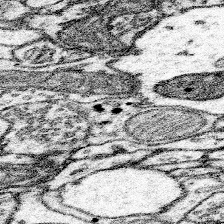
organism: Mouse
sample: Somatosensory cortex neuropil